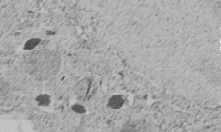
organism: C. elegans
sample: C. elegans embryo early stage